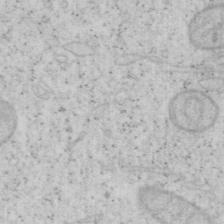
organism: Human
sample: HeLa cells